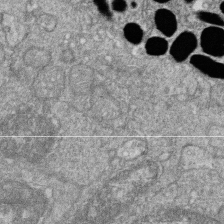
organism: Zebrafish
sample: Cilia; retinal pigment epithelium